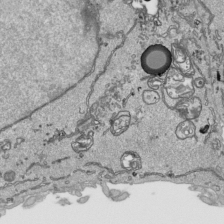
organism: Human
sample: Mitochondria in HCT116 cells